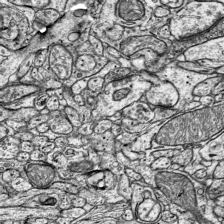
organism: Mouse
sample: Visual Cortex